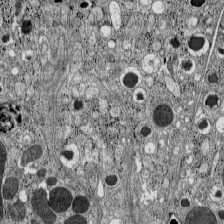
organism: C57BL Mouse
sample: Pancreatic islet